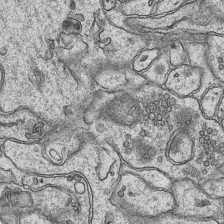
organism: Mouse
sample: CA1 Hippocampus